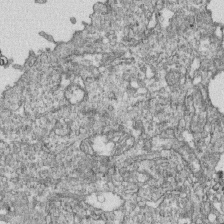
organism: Human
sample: HeLa cell HIV synapse